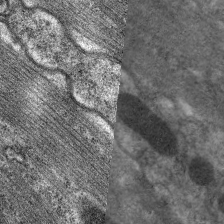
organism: C. elegans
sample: Pharynx